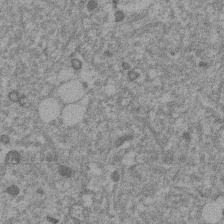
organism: Mouse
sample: Dividing mouse embryo 1 cell stage